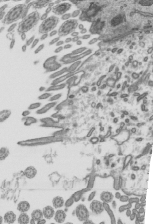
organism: Mouse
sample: Mouse epididymis efferent ductule cilia